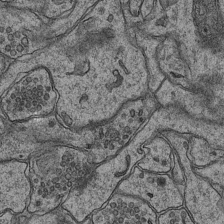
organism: Mouse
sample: CA1 Hippocampus